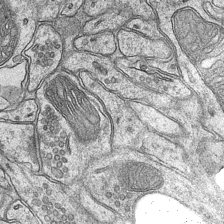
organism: Mouse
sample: CA1 Hippocampus